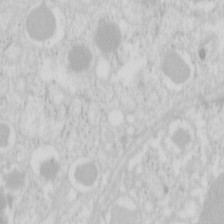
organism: Mouse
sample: Pancreas